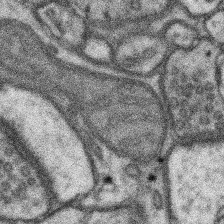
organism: Mouse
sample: Somatosensory cortex neuropil